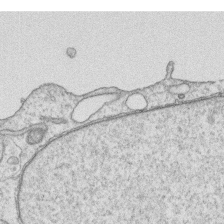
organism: Human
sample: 1205lu cells